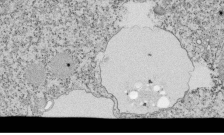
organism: Tetrahymena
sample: Cilia in tetrahymena